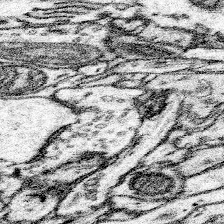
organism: Mouse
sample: Somatosensory cortex neuropil